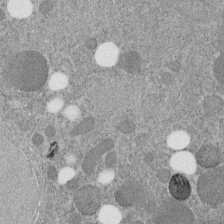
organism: C. elegans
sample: C. elegans embryo early stage